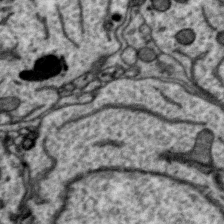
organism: Zebra finch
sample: Brain